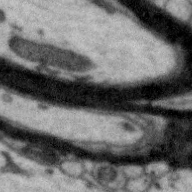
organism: Zebra finch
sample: Brain